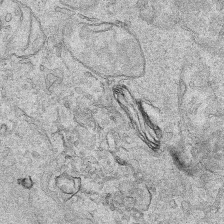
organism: Human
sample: Mitochondria in HCT116 cells